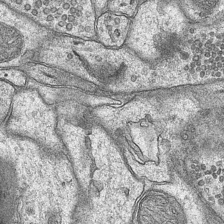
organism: Mouse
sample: CA1 Hippocampus